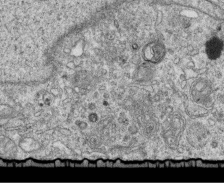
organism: Human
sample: HeLa cell HIV synapse